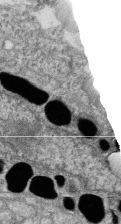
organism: Zebrafish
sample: Cilia; retinal pigment epithelium